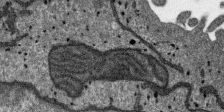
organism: Human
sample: Lung epithelial cells, uninfected (mock) control